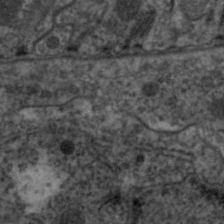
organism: C. elegans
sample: Pharynx